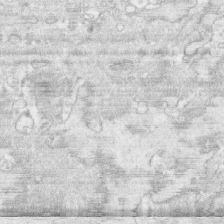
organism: Human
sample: CRL-1474